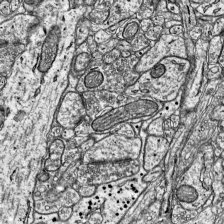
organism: Mouse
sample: Visual Cortex